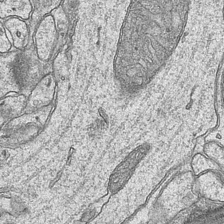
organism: Mouse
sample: CA1 Hippocampus